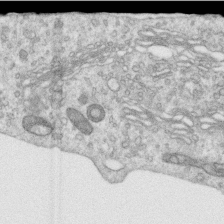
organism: Human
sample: Centriole in RPE cells